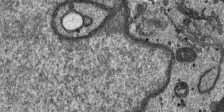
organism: Human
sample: Lung epithelial cells infected with SARS-CoV-2